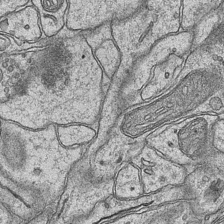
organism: Mouse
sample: CA1 Hippocampus